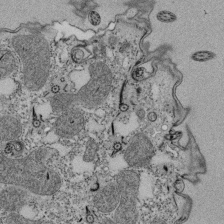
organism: Tetrahymena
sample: Cilia in tetrahymena